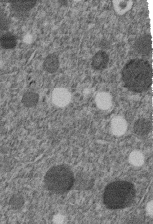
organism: C. elegans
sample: C. elegans embryo early stage